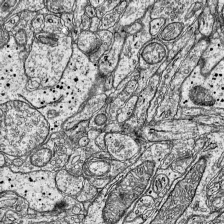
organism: Mouse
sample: Visual Cortex